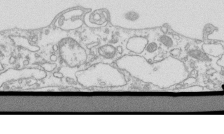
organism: Mouse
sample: Macrophages